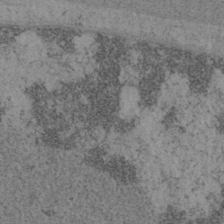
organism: Mouse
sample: OT-I killer T cells with ID8 ovarian cancer cells